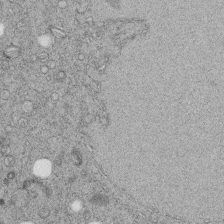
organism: C. elegans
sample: C. elegans embryo early stage